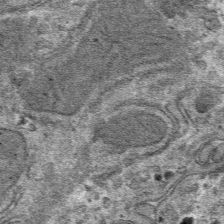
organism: Mouse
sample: Mouse hepatocytes